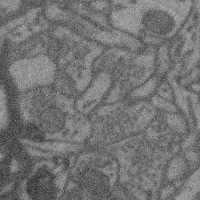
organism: Mouse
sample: Cerebral cortex